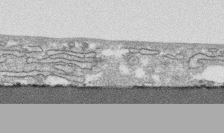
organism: Human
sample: CRL-1474